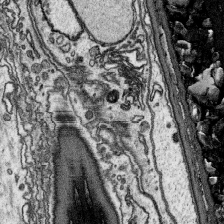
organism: Platynereis dumerilii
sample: Parapodia